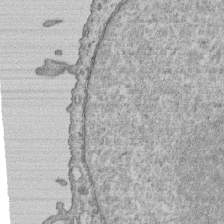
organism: Human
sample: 1205lu cells